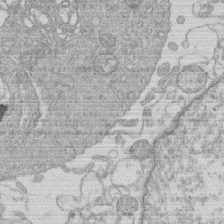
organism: Human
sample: Macrophage cells